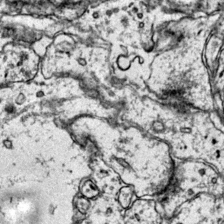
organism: Mouse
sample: Primary visual cortex